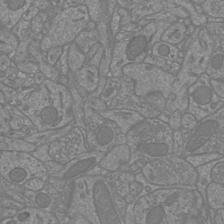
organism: Mouse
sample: Cortical neurons